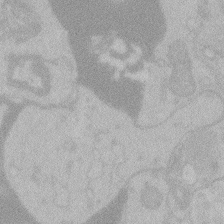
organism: Zebrafish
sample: Macrophage infected with Toxoplasma gondii